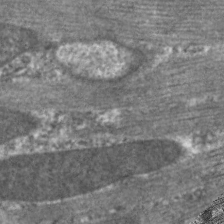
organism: C. elegans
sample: Pharynx